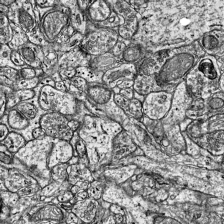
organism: Mouse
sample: Visual Cortex